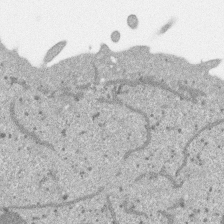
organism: Human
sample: Lung epithelial cells infected with SARS-CoV-2